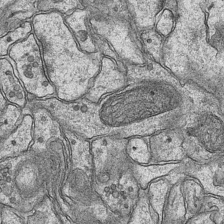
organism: Mouse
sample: CA1 Hippocampus